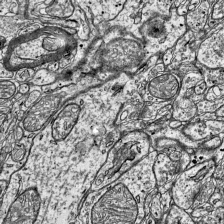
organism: Mouse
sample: Visual Cortex